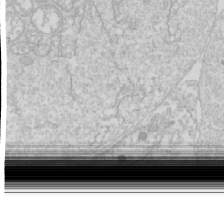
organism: Drosophila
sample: Cell division; meiosis; drosophila spermatocytes